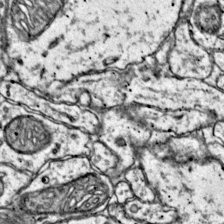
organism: Mouse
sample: Primary visual cortex